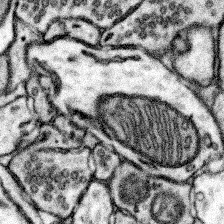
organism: Mouse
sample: Somatosensory cortex neuropil